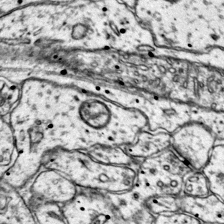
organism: Mouse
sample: Primary visual cortex